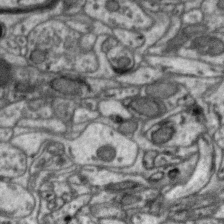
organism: Zebra finch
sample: Brain